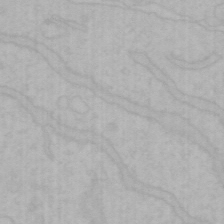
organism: Mouse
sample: Choroid plexus